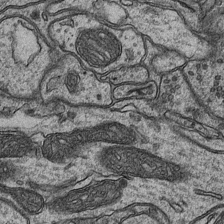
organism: Mouse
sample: CA1 Hippocampus